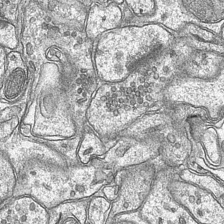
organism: Mouse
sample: CA1 Hippocampus